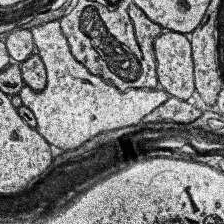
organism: Human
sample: Temporal Lobe